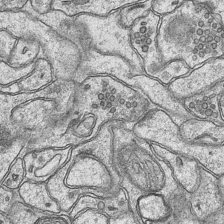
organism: Mouse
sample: CA1 Hippocampus